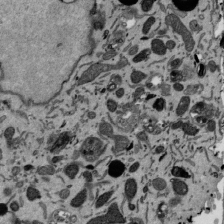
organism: Mouse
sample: ED-1 cell nuclei; centrioles